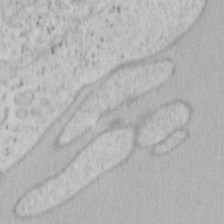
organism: Human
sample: HeLa cells